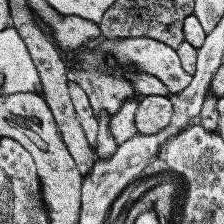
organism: Human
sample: Temporal Lobe